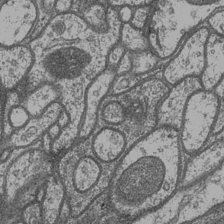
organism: Drosophila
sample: Optic medulla